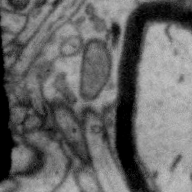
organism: Zebra finch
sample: Brain